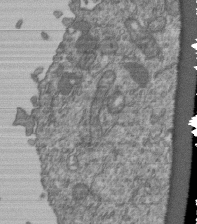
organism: Human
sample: Retinal organoid Rod and Cone cells